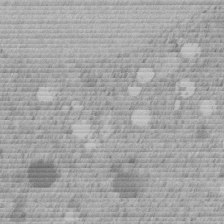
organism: C. elegans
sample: C. elegans embryo early stage